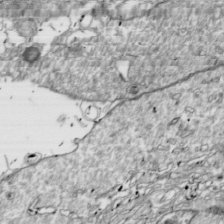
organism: Drosophila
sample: Cell division; meiosis; drosophila spermatocytes